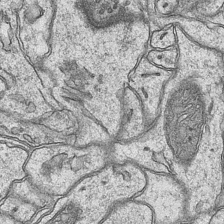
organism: Mouse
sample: CA1 Hippocampus